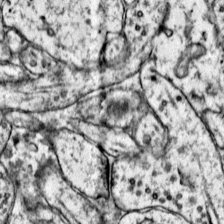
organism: Mouse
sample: Primary visual cortex